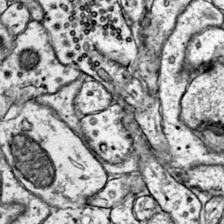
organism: Mouse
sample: Primary visual cortex